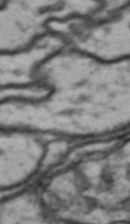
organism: Drosophila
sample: Brain